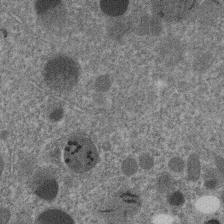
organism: C. elegans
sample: C. elegans embryo early stage